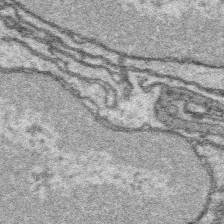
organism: Platynereis dumerilii